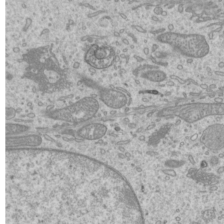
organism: Mouse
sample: Cilia; mouse epididymis